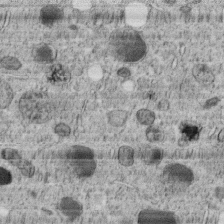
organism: C. elegans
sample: C. elegans embryo early stage